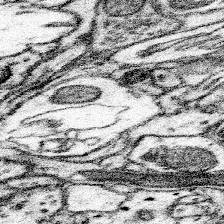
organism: Mouse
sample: Somatosensory cortex neuropil